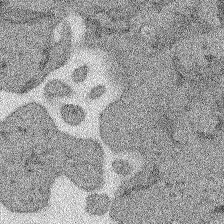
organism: Human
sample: HeLa cells